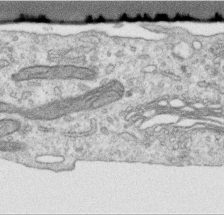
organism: Human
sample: Centriole in RPE cells